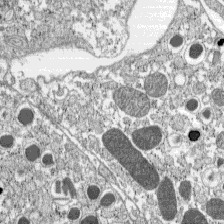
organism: C57BL Mouse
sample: Pancreatic islet